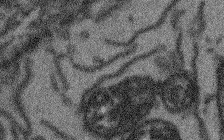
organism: Arabidopsis thaliana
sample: Root tip